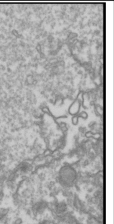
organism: Drosophila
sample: Cell division; meiosis; drosophila spermatocytes